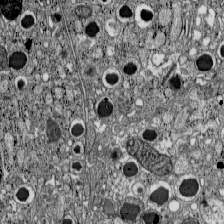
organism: C57BL Mouse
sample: Pancreatic islet